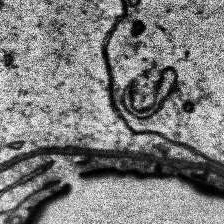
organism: Human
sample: Temporal Lobe